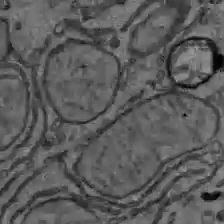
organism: C57BL Mouse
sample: Liver